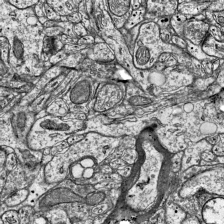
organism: Mouse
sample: Visual Cortex